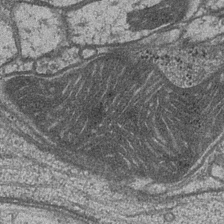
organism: Drosophila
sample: Optic medulla